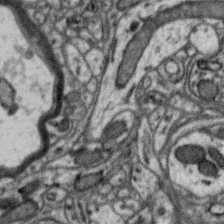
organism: Zebra finch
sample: Brain